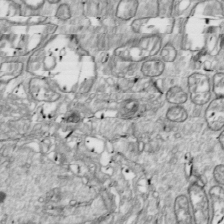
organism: Drosophila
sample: Cell division; meiosis; drosophila spermatocytes